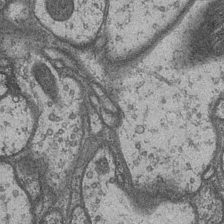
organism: Drosophila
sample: Optic medulla